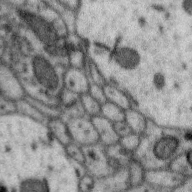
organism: Zebra finch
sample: Brain